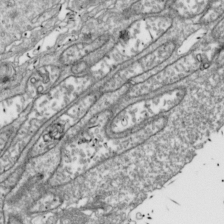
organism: Drosophila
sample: Cell division; meiosis; drosophila spermatocytes